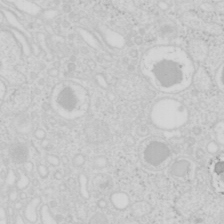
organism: Mouse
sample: Pancreas